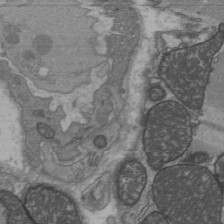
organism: C57BL Mouse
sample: Heart